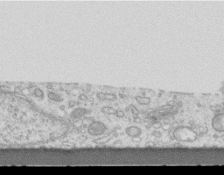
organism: Mouse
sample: Centriole in ependymal cells